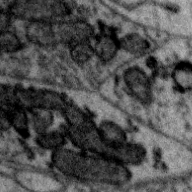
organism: Zebra finch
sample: Brain